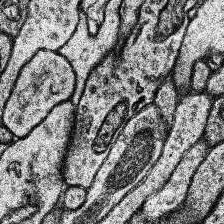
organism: Human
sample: Temporal Lobe